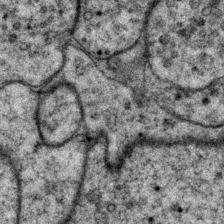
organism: P. pacificus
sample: Pharynx